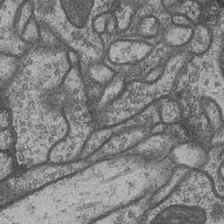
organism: Drosophila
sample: Optic medulla